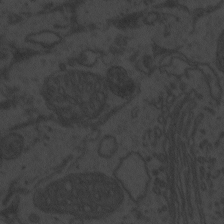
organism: Zebrafish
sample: Macrophage infected with Toxoplasma gondii